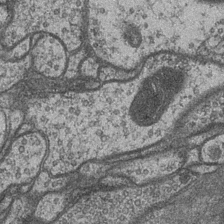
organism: Drosophila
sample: Optic medulla